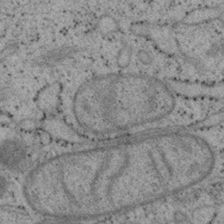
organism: Human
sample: HeLa cells